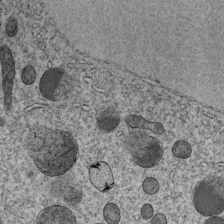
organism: C. elegans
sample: C. elegans embryo early stage